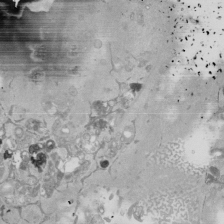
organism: Mouse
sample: ED-1 cell nuclei; centrioles